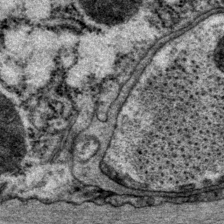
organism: P. pacificus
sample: Pharynx